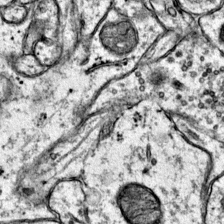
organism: Mouse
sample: Primary visual cortex